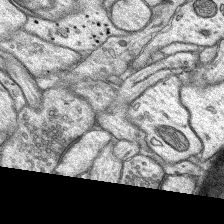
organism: Rat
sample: Hippocampus